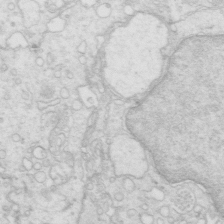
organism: Mouse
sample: Multiciliated cells